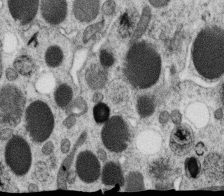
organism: C. elegans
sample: C. elegans oocyte; sperm cells